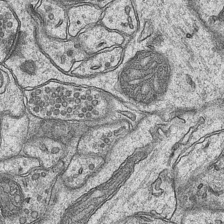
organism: Mouse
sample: CA1 Hippocampus